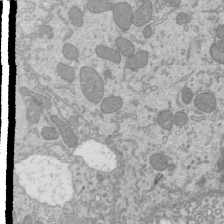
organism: Mouse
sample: Cilia; mouse epididymis